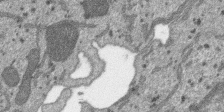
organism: Human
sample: Lung epithelial cells infected with SARS-CoV-2